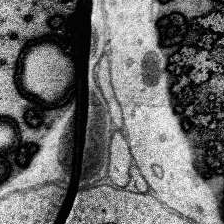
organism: Human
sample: Temporal Lobe